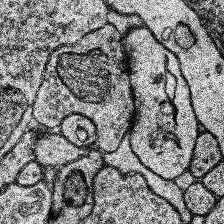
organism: Human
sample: Temporal Lobe